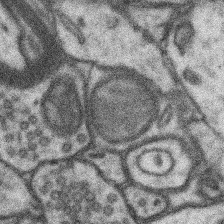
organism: Mouse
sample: Somatosensory cortex neuropil